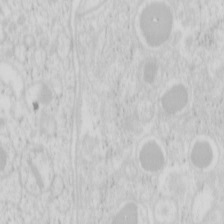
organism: Mouse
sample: Pancreas